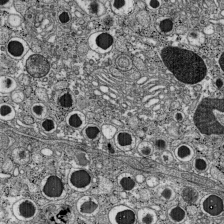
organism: C57BL Mouse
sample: Pancreatic islet